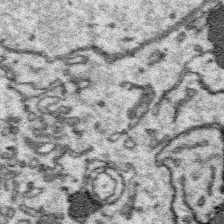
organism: Platynereis dumerilii